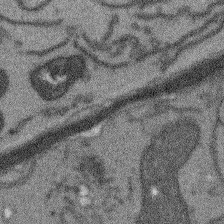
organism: Arabidopsis thaliana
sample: Root tip